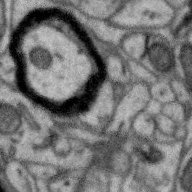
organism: Zebra finch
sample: Brain